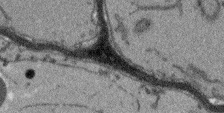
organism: Arabidopsis thaliana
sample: Root tip